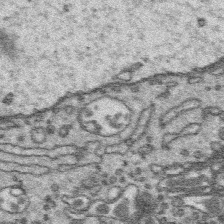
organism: Platynereis dumerilii